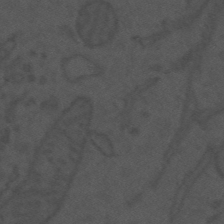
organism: Mouse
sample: Suprachiasmatic nucleus